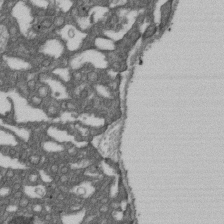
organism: Drosophila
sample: Nephrocyte